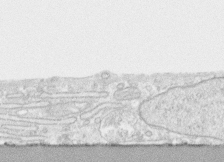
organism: Human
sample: CRL-1474